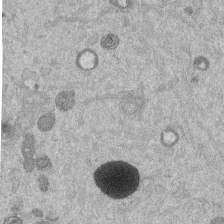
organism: Mouse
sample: Dividing mouse embryo 1 cell stage